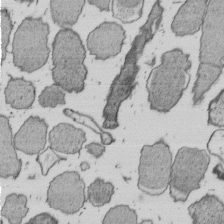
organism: E. coli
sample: Bacterial nucleoid